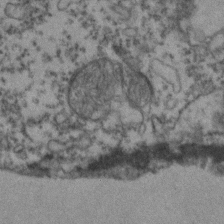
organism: Zebrafish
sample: Zebrafish embryo